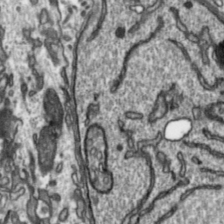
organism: Toxoplasma gondii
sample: Parasites in a vacuole inside a host cell